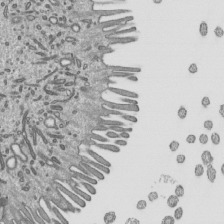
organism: Mouse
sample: Mouse epididymis efferent ductule cilia